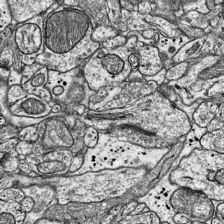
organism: Mouse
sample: Visual Cortex